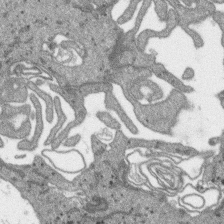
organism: Human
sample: Lung epithelial cells infected with SARS-CoV-2